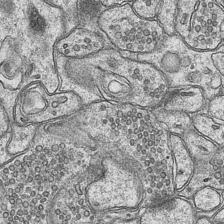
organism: Mouse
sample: CA1 Hippocampus